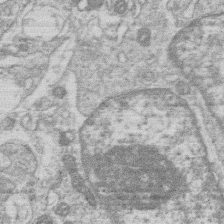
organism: Human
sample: Macrophage cells